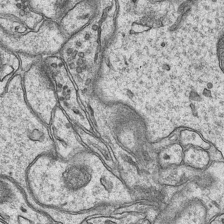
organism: Mouse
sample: CA1 Hippocampus